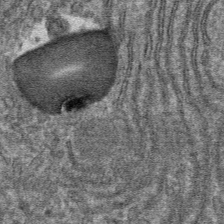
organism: Mouse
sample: Mouse hepatocytes